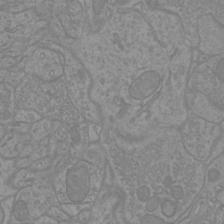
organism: Mouse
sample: Cortical neurons